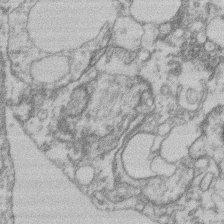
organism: Mouse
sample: T cell stromal cell synapse